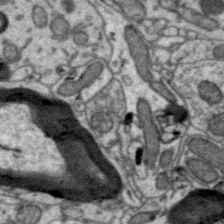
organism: Zebra finch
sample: Brain